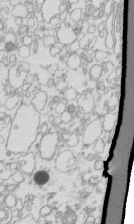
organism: Mouse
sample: Macrophages